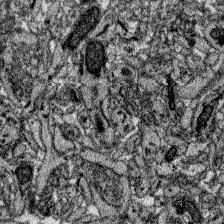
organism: Zebrafish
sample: Larval olfactory bulb